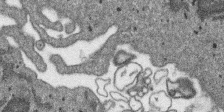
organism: Human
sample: Lung epithelial cells infected with SARS-CoV-2